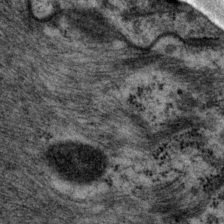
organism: P. pacificus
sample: Pharynx